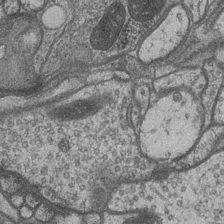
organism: Drosophila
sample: Optic medulla